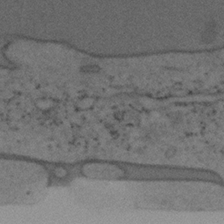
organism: Human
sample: HeLa cells